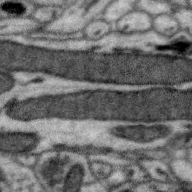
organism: Zebra finch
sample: Brain